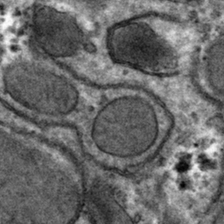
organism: Mouse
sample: Mouse hepatocytes